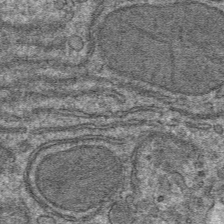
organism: Mouse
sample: Mouse hepatocytes